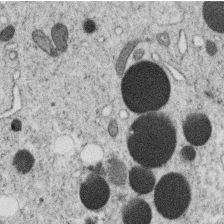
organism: C. elegans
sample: C. elegans oocyte; sperm cells